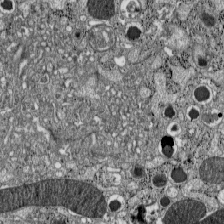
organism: C57BL Mouse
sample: Pancreatic islet